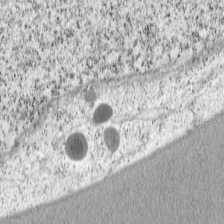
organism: African green monkey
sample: COS-7 cells